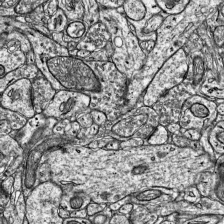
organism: Mouse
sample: Visual Cortex